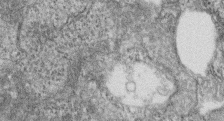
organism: Zebrafish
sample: Cilia; retinal pigment epithelium